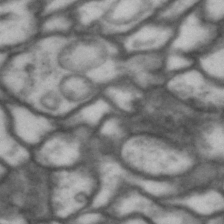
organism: Drosophila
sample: Brain